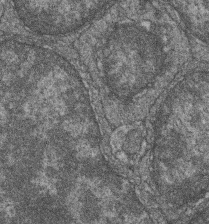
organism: Zebrafish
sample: Cilia; retinal pigment epithelium